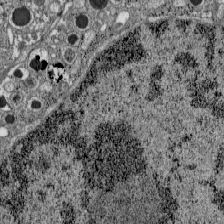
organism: C57BL Mouse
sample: Pancreatic islet